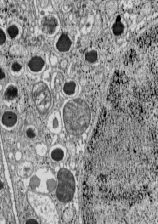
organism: C57BL Mouse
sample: Pancreatic islet